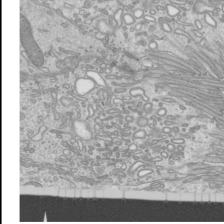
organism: Mouse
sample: Cilia; mouse epididymis